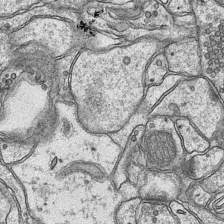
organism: Mouse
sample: CA1 Hippocampus